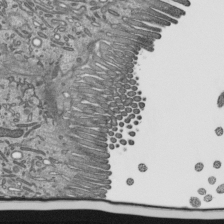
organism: Mouse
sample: Mouse epididymis efferent ductule cilia